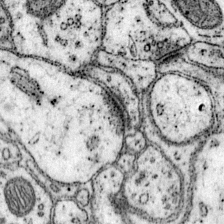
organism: Mouse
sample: Primary visual cortex